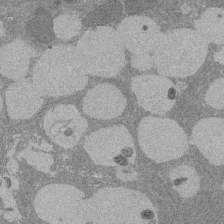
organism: Rat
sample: Salivary granule